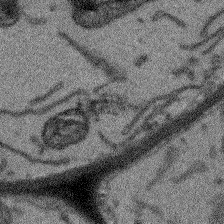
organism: Arabidopsis thaliana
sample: Root tip